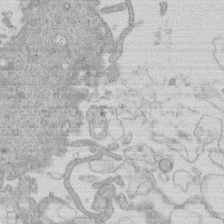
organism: Human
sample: Macrophage cells